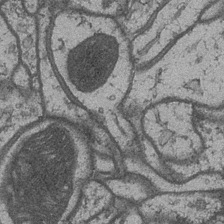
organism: Drosophila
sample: Optic medulla